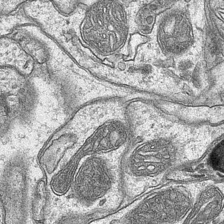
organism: Mouse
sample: CA1 Hippocampus